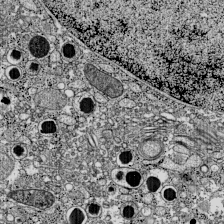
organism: C57BL Mouse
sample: Pancreatic islet